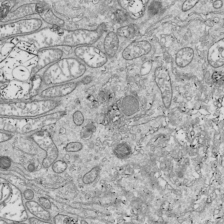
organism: Drosophila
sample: Cell division; meiosis; drosophila spermatocytes